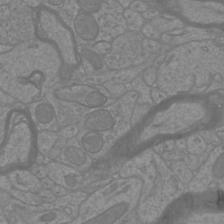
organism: Mouse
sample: Cortical neurons